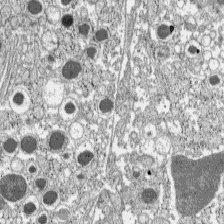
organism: C57BL Mouse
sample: Pancreatic islet